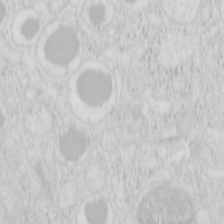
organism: Mouse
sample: Pancreas